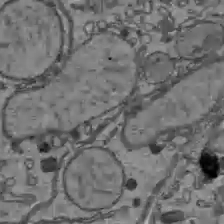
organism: C57BL Mouse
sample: Liver